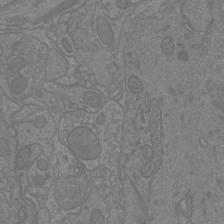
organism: Mouse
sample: Cortical neurons